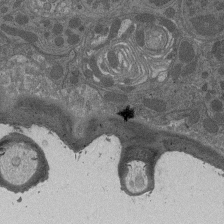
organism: Drosophila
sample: Antenna